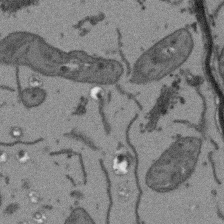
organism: Arabidopsis thaliana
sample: Root tip